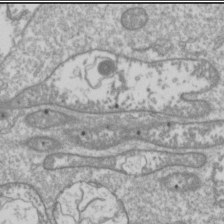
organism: Drosophila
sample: Cell division; meiosis; drosophila spermatocytes